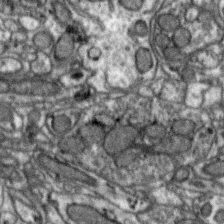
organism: Zebra finch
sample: Brain